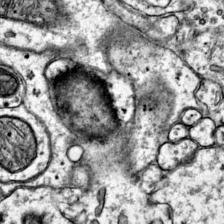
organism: Mouse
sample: Primary visual cortex